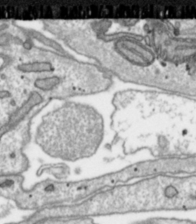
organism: Toxoplasma gondii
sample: Parasites in a vacuole inside a host cell